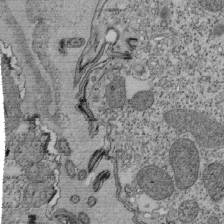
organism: Tetrahymena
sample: Cilia in tetrahymena